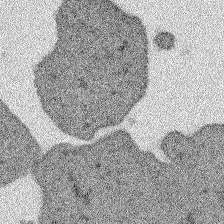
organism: Human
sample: HeLa cells